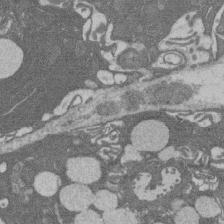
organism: Rat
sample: Salivary granule